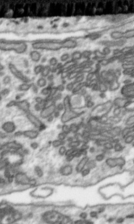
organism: Toxoplasma gondii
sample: Parasites in a vacuole inside a host cell